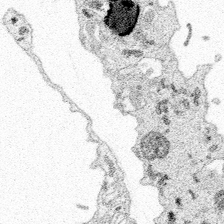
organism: Spongilla lacustris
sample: Multiple